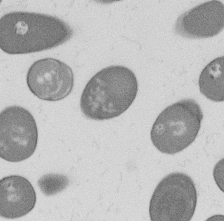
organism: B. subtilis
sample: Bacterial spore